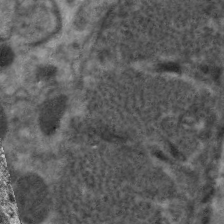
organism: C. elegans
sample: Pharynx